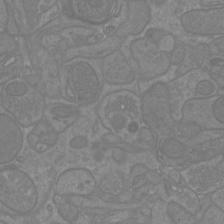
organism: Mouse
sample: Cortical neurons